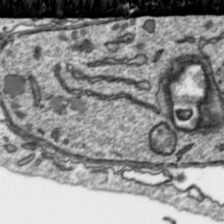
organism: Toxoplasma gondii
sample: Parasites in a vacuole inside a host cell